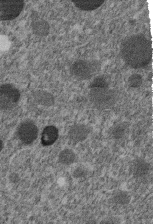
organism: C. elegans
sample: C. elegans embryo early stage